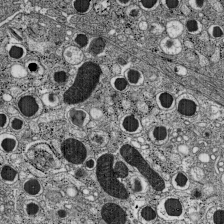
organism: C57BL Mouse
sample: Pancreatic islet